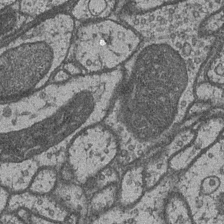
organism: Drosophila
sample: Optic medulla